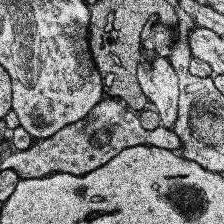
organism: Human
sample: Temporal Lobe